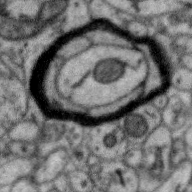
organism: Zebra finch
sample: Brain